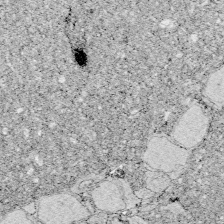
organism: Zebrafish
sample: Whole-Brain